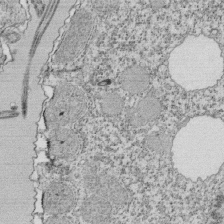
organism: Tetrahymena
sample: Cilia in tetrahymena